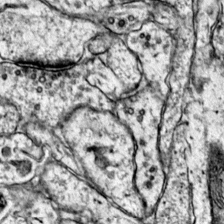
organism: Mouse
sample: Primary visual cortex